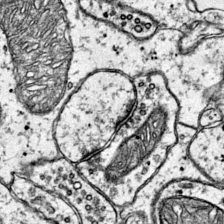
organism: Mouse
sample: Primary visual cortex